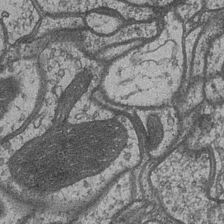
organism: Drosophila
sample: Optic medulla